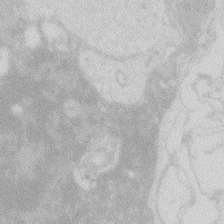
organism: Zebrafish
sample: Macrophage